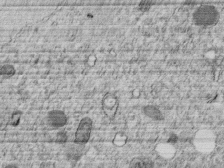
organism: C. elegans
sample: C. elegans embryo early stage